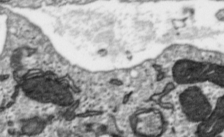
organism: Toxoplasma gondii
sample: Parasites in a vacuole inside a host cell